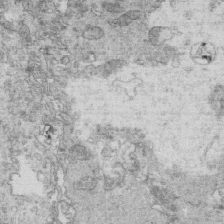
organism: Mouse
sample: Multiciliated cells